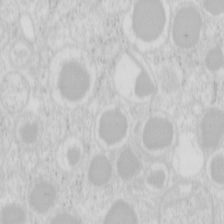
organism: Mouse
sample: Pancreas